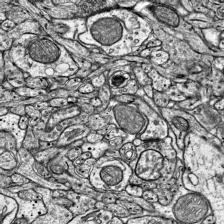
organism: Mouse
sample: Visual Cortex